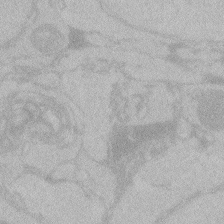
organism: Zebrafish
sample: Macrophage infected with Toxoplasma gondii